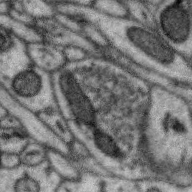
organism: Zebra finch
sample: Brain